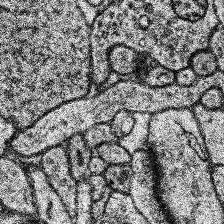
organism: Human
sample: Temporal Lobe